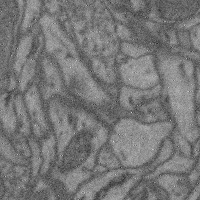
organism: Mouse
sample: Cerebral cortex